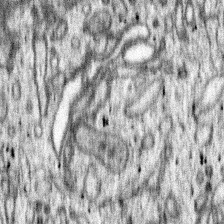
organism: Human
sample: HeLa cells